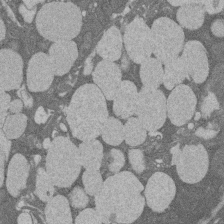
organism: Rat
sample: Salivary granule